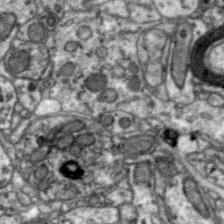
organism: Zebra finch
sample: Brain